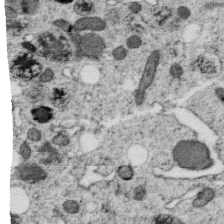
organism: C. elegans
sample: C. elegans oocyte; sperm cells